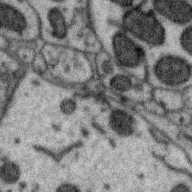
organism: Zebra finch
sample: Brain